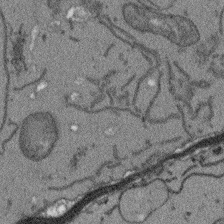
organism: Arabidopsis thaliana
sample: Root tip